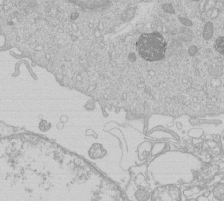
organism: Human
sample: Macrophage cells